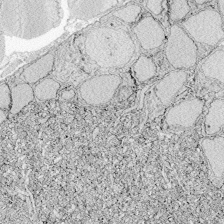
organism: Zebrafish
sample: Whole-Brain